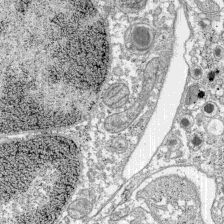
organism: C57BL Mouse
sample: Pancreatic islet